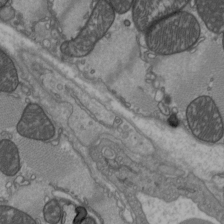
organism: C57BL Mouse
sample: Heart